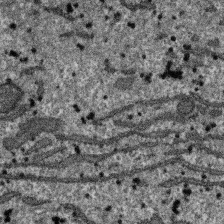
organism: Human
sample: Lung epithelial cells infected with SARS-CoV-2